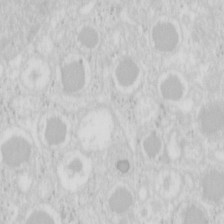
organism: Mouse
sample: Pancreas